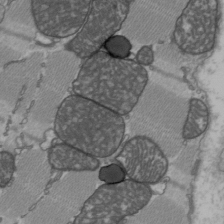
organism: C57BL Mouse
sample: Heart